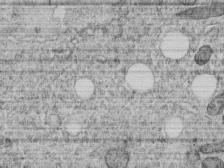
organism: C. elegans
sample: C. elegans embryo early stage